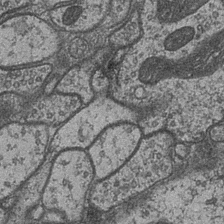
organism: Drosophila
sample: Optic medulla